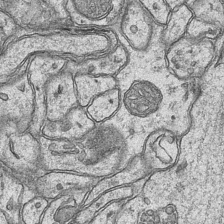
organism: Mouse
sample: CA1 Hippocampus